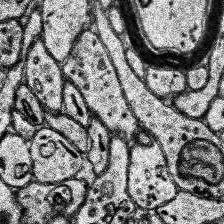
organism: Human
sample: Temporal Lobe